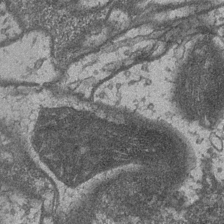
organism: Drosophila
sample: Optic medulla